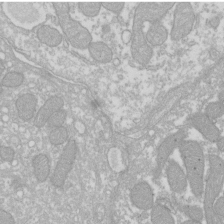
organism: Xenopus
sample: Cilia; centrioles in frog embryo cells